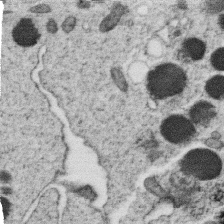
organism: C. elegans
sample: C. elegans oocyte; sperm cells